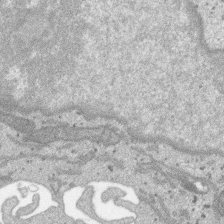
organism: Human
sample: Lung epithelial cells infected with SARS-CoV-2